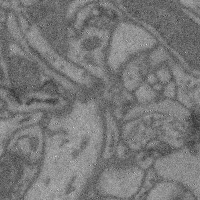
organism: Mouse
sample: Cerebral cortex